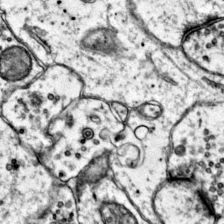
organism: Mouse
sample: Primary visual cortex